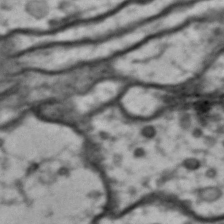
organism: Drosophila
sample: Brain